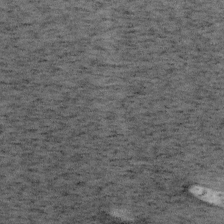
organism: Mouse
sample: OT-I killer T cells with ID8 ovarian cancer cells